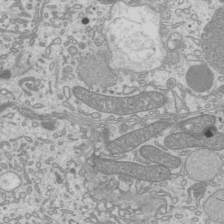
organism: Mouse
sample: Cilia; mouse epididymis